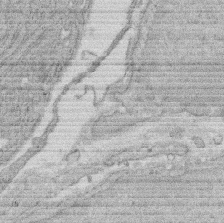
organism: Rat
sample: Salivary granule